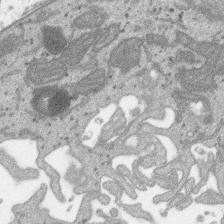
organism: Human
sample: Lung epithelial cells infected with SARS-CoV-2